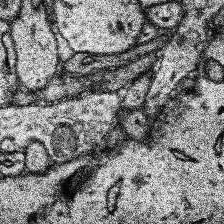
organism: Human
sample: Temporal Lobe